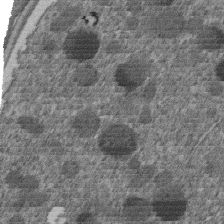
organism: C. elegans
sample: C. elegans embryo early stage